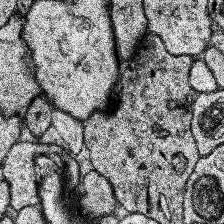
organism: Human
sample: Temporal Lobe